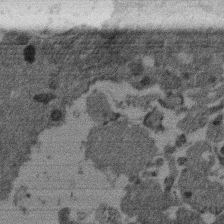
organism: Mouse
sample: Dividing mouse embryo 1 cell stage